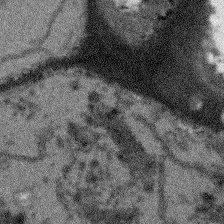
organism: Arabidopsis thaliana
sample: Root tip